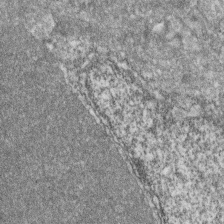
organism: Zebrafish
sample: Cilia; retinal pigment epithelium